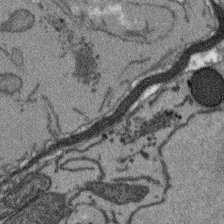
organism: Arabidopsis thaliana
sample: Root tip